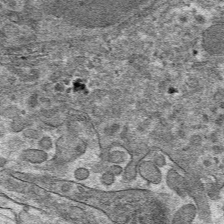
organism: Mouse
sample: Mouse hepatocytes